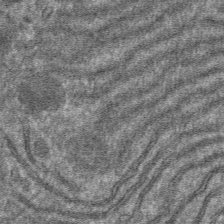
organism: Mouse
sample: Mouse hepatocytes